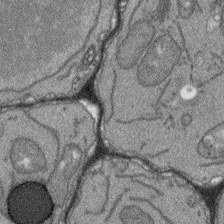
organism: Arabidopsis thaliana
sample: Root tip